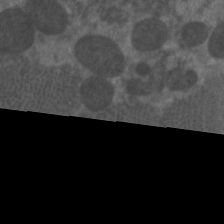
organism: C. elegans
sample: Pharynx